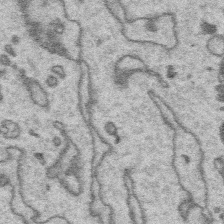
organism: Platynereis dumerilii